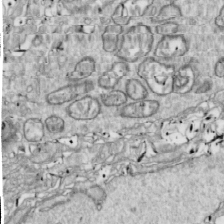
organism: Drosophila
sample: Cell division; meiosis; drosophila spermatocytes